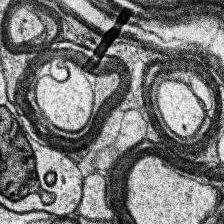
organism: Human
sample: Temporal Lobe